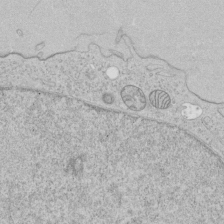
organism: Human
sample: Mitochondria in HCT116 cells